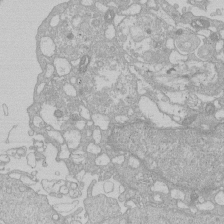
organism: Human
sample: Macrophage cells